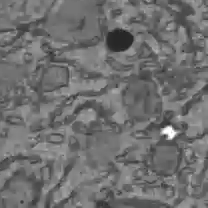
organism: C57BL Mouse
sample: Liver